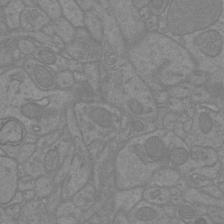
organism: Mouse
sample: Cortical neurons